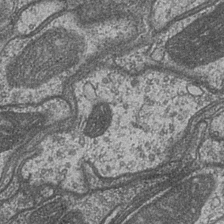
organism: Drosophila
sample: Optic medulla